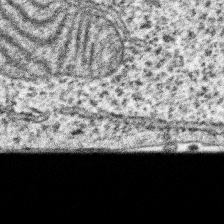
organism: Human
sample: HeLa cells